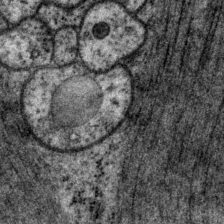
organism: P. pacificus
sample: Pharynx